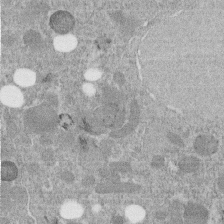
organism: C. elegans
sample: C. elegans embryo early stage